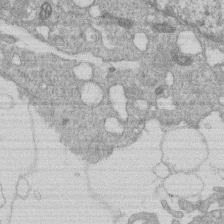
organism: Human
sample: Macrophage cells